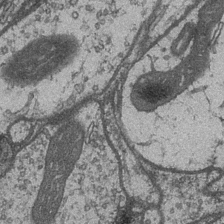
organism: Drosophila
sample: Optic medulla